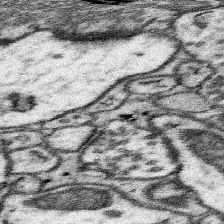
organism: Mouse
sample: Somatosensory cortex neuropil